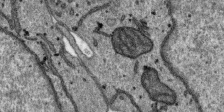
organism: Human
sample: Lung epithelial cells, uninfected (mock) control